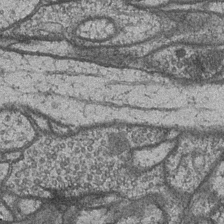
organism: Drosophila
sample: Optic medulla